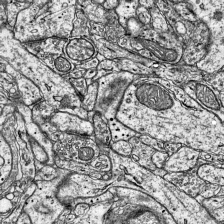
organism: Mouse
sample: Visual Cortex